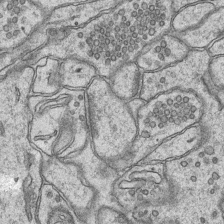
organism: Mouse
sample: CA1 Hippocampus